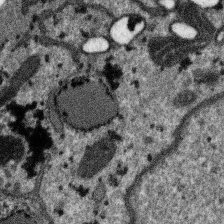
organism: Human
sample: Lung epithelial cells infected with SARS-CoV-2